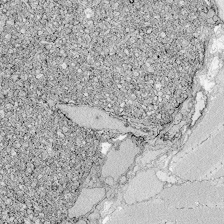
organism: Zebrafish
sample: Whole-Brain